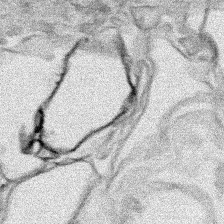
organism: Human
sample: Mitochondria in HCT116 cells